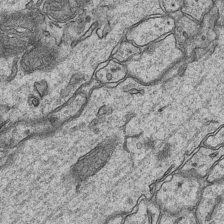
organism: Mouse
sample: CA1 Hippocampus